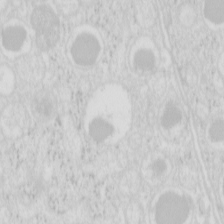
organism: Mouse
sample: Pancreas